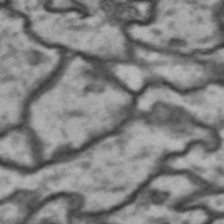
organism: Drosophila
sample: Brain